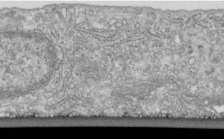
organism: Human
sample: Centriole in fibroblast cells